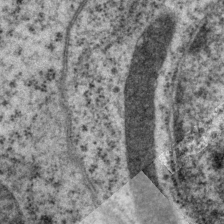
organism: P. pacificus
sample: Pharynx